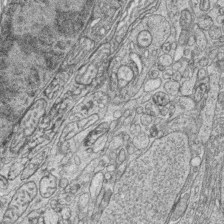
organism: Zebrafish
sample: synaptic ribbons in rod cells and cone cells